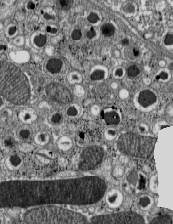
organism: C57BL Mouse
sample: Pancreatic islet